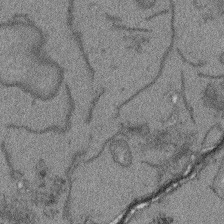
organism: Arabidopsis thaliana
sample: Root tip